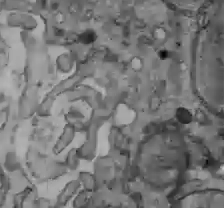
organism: C57BL Mouse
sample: Liver